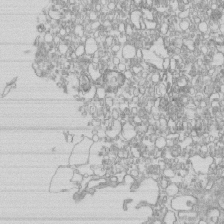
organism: Mouse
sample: Macrophages